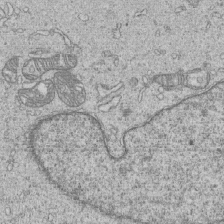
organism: Human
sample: MDA-MB-231 cells